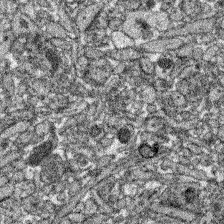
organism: Zebrafish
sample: Larval olfactory bulb